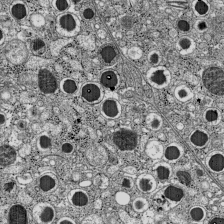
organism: C57BL Mouse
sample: Pancreatic islet